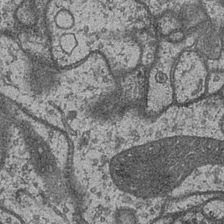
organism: Drosophila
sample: Optic medulla